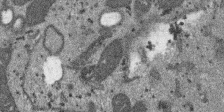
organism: Human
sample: Lung epithelial cells infected with SARS-CoV-2